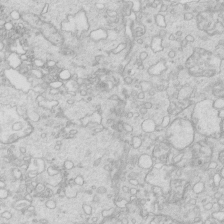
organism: Mouse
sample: Multiciliated cells